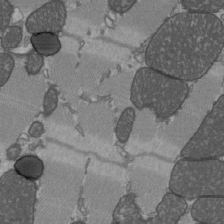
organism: C57BL Mouse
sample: Heart